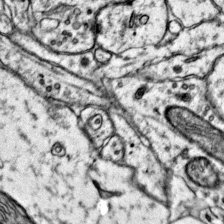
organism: Mouse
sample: Primary visual cortex